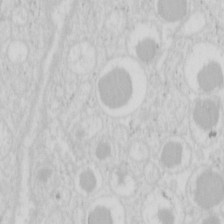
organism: Mouse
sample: Pancreas